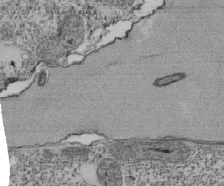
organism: Tetrahymena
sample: Cilia in tetrahymena